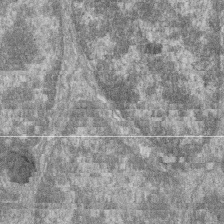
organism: Zebrafish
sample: Cilia; retinal pigment epithelium